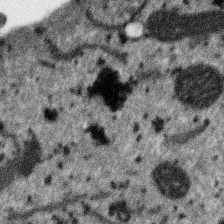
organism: Human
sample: Lung epithelial cells infected with SARS-CoV-2